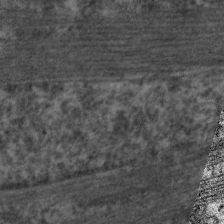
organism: C. elegans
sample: Pharynx